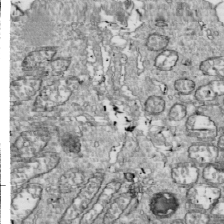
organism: Drosophila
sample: Cell division; meiosis; drosophila spermatocytes